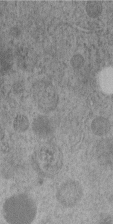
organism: C. elegans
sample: C. elegans embryo early stage